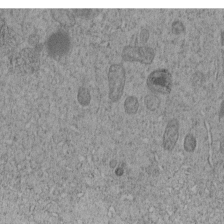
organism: C. elegans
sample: C. elegans embryo early stage